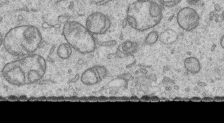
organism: Human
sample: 1205lu cells